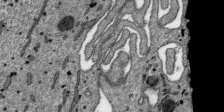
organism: Human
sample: Lung epithelial cells, uninfected (mock) control